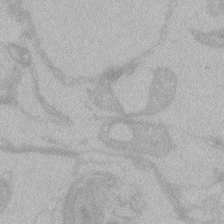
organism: Zebrafish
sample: Macrophage infected with Toxoplasma gondii